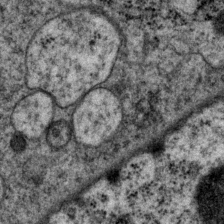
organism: P. pacificus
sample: Pharynx